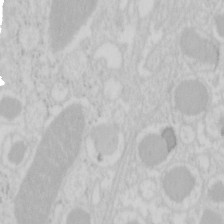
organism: Mouse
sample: Pancreas